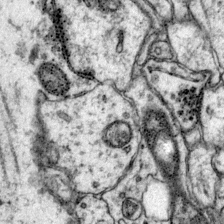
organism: Mouse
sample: Primary visual cortex